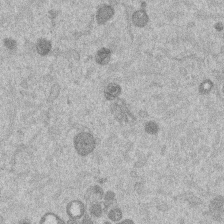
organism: Mouse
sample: Dividing mouse embryo 1 cell stage